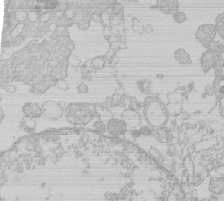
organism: Human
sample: Macrophage cells